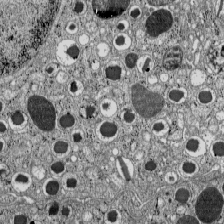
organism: C57BL Mouse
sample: Pancreatic islet